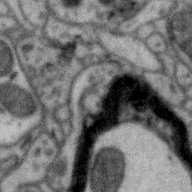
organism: Zebra finch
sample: Brain